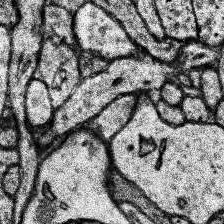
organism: Human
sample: Temporal Lobe